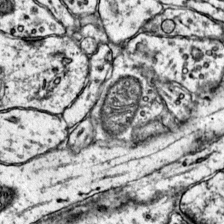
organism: Mouse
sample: Primary visual cortex